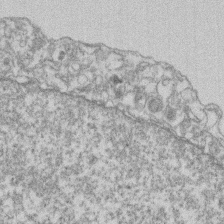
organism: Mouse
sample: T cell stromal cell synapse